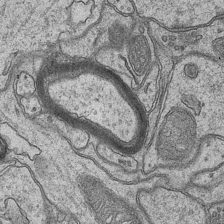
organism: Mouse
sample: CA1 Hippocampus